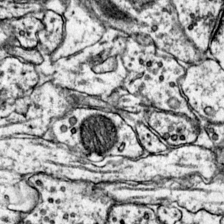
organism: Mouse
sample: Primary visual cortex